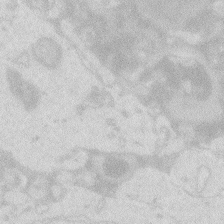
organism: Zebrafish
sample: Macrophage